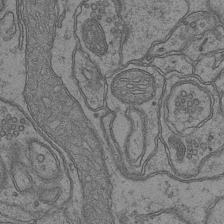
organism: Mouse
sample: CA1 Hippocampus